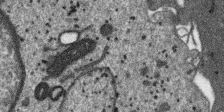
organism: Human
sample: Lung epithelial cells infected with SARS-CoV-2